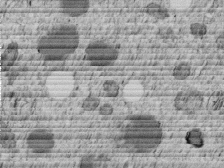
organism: C. elegans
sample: C. elegans embryo early stage